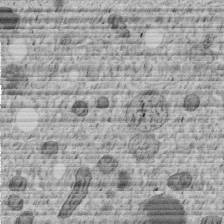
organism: C. elegans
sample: C. elegans embryo early stage